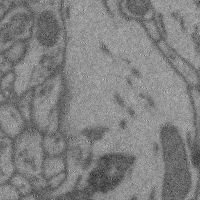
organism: Mouse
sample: Cerebral cortex